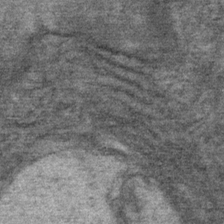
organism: Mouse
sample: Mouse Salivary gland